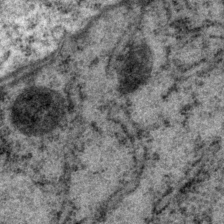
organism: P. pacificus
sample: Pharynx